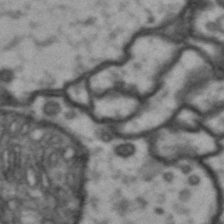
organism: Drosophila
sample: Brain